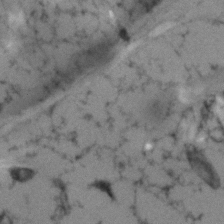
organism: Human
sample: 1205lu cells